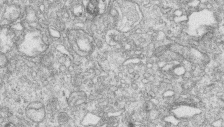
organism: Human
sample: HeLa cell HIV synapse